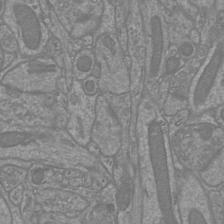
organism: Mouse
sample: Cortical neurons